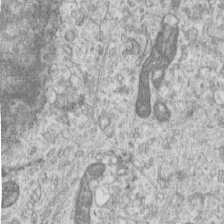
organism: Human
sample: Centriole in RPE cells